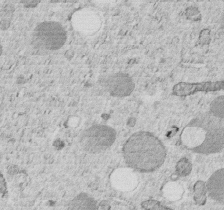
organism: C. elegans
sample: C. elegans embryo early stage